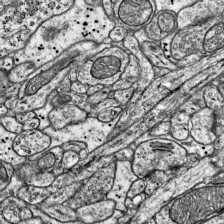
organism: Mouse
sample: Visual Cortex